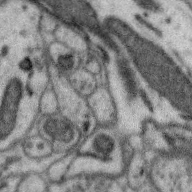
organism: Zebra finch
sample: Brain